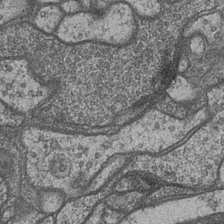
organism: Drosophila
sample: Optic medulla